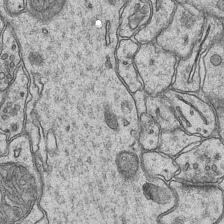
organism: Mouse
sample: CA1 Hippocampus